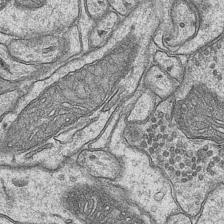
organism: Mouse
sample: CA1 Hippocampus